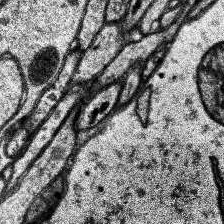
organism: Human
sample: Temporal Lobe